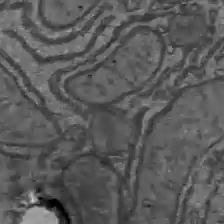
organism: C57BL Mouse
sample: Liver